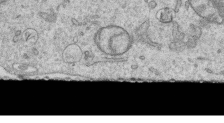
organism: Human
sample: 1205lu cells